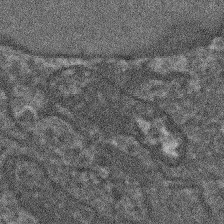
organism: Arabidopsis thaliana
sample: Root tip